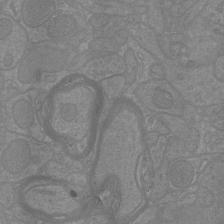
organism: Mouse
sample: Cortical neurons